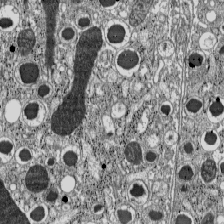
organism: C57BL Mouse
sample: Pancreatic islet